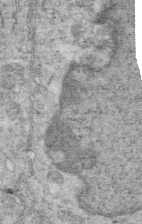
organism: Mouse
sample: Multiciliated cells